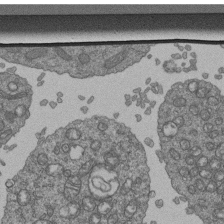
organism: Human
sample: Retinal organoid Rod and Cone cells